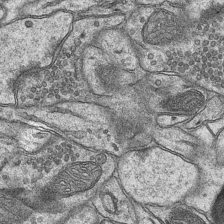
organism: Mouse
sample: CA1 Hippocampus